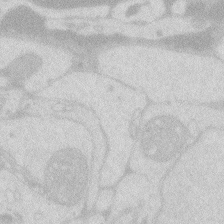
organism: Zebrafish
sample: Macrophage